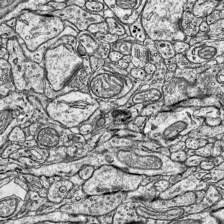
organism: Mouse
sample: Visual Cortex